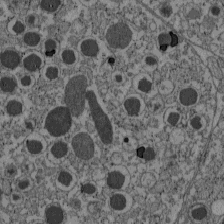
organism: C57BL Mouse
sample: Pancreatic islet